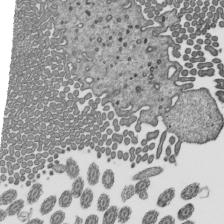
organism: Mouse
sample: Mouse epididymis efferent ductule cilia